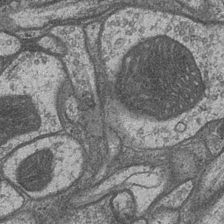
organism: Drosophila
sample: Optic medulla